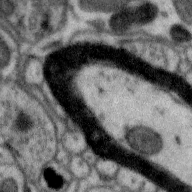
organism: Zebra finch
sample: Brain